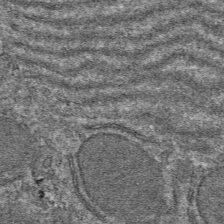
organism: Mouse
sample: Mouse hepatocytes